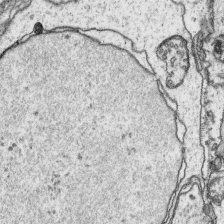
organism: Platynereis dumerilii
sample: Parapodia